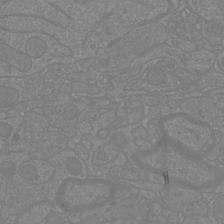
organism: Mouse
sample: Cortical neurons